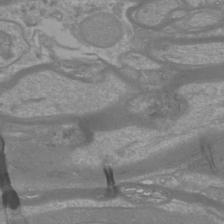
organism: Mouse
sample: Cortical neurons